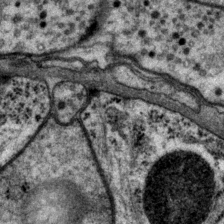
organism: P. pacificus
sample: Pharynx